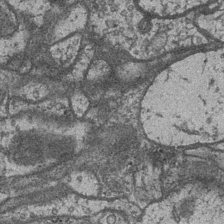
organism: Drosophila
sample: Optic medulla